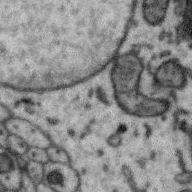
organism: Zebra finch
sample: Brain